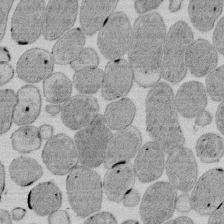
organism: E. coli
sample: Bacterial nucleoid